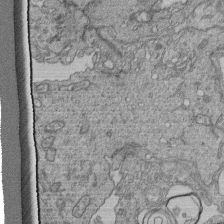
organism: Human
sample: Retinal organoid Rod and Cone cells